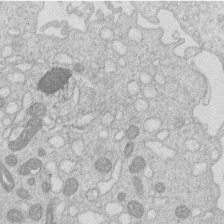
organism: Human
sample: Macrophage cells